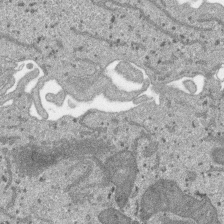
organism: Human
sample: Lung epithelial cells infected with SARS-CoV-2